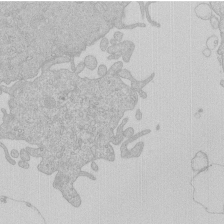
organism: Human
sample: Macrophage cells